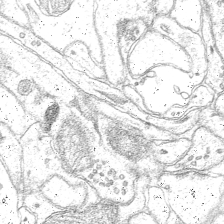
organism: Mouse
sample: CA1 Hippocampus